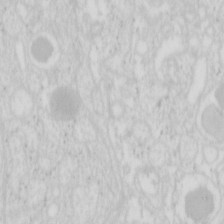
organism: Mouse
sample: Pancreas